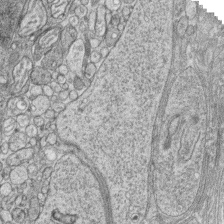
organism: Zebrafish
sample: synaptic ribbons in rod cells and cone cells